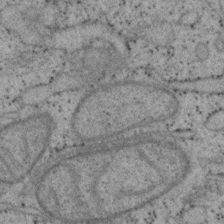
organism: Human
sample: HeLa cells